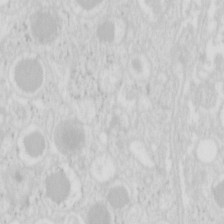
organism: Mouse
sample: Pancreas